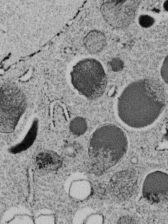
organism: C. elegans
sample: C. elegans embryo early stage